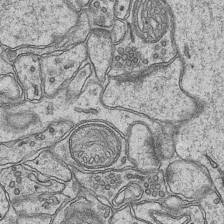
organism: Mouse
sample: CA1 Hippocampus